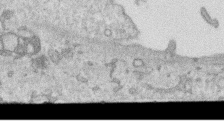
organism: Human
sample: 1205lu cells